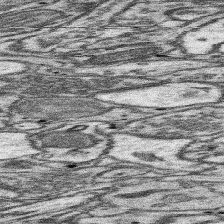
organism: Mouse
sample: Somatosensory cortex neuropil